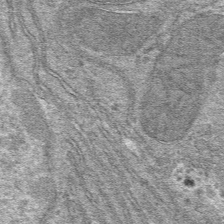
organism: Mouse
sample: Mouse hepatocytes